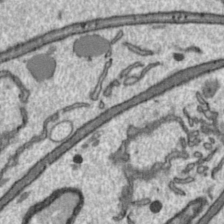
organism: Toxoplasma gondii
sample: Parasites in a vacuole inside a host cell